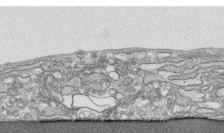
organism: Human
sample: CRL-1474